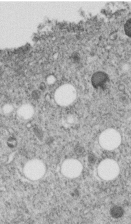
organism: C. elegans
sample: C. elegans embryo early stage